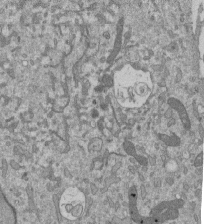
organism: Mouse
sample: ED-1 cell nuclei; centrioles